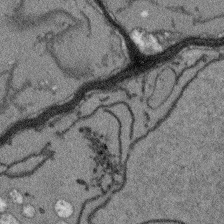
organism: Arabidopsis thaliana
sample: Root tip